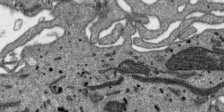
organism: Human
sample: Lung epithelial cells, uninfected (mock) control